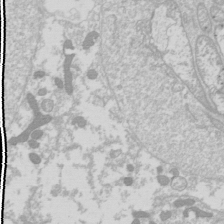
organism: Drosophila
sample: Cell division; meiosis; drosophila spermatocytes